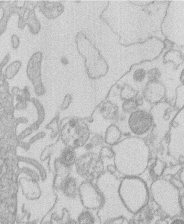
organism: Human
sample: Macrophage cells